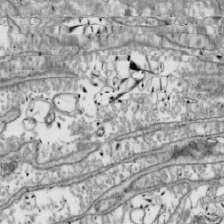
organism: Drosophila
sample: Cell division; meiosis; drosophila spermatocytes